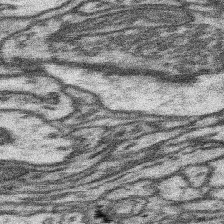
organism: Mouse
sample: Somatosensory cortex neuropil